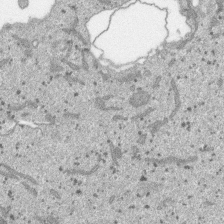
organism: Human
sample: Lung epithelial cells infected with SARS-CoV-2